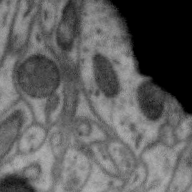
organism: Zebra finch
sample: Brain